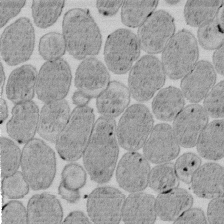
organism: E. coli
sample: Bacterial nucleoid